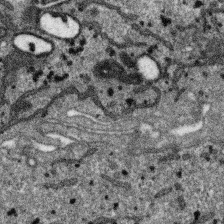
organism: Human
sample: Lung epithelial cells infected with SARS-CoV-2